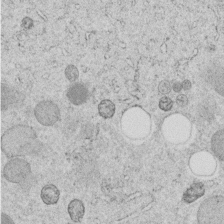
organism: C. elegans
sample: C. elegans embryo early stage